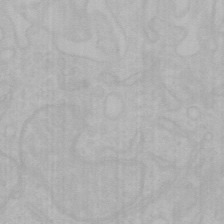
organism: Mouse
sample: Choroid plexus